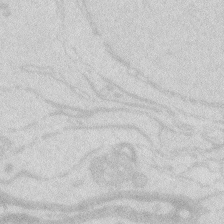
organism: Zebrafish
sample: Macrophage